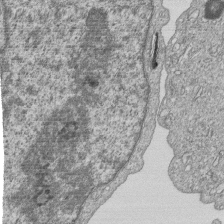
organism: Human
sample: MDA-MB-231 cells